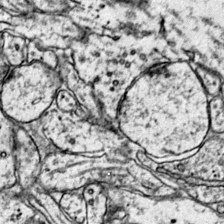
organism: Mouse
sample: Primary visual cortex